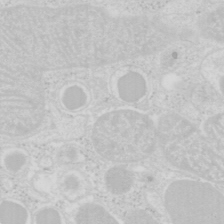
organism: Mouse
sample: Pancreas